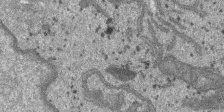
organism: Human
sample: Lung epithelial cells infected with SARS-CoV-2